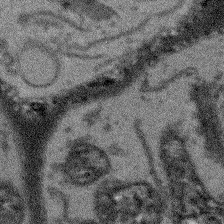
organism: Arabidopsis thaliana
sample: Root tip